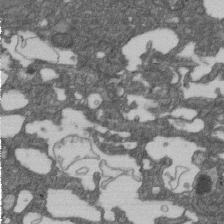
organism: Drosophila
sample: Nephrocyte